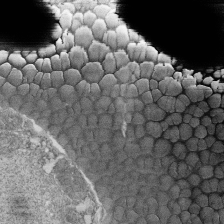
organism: Tetrahymena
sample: Cilia in tetrahymena